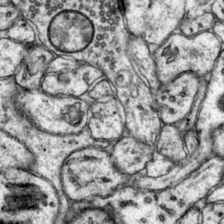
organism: Mouse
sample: Primary visual cortex